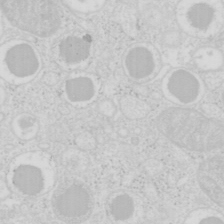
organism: Mouse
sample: Pancreas